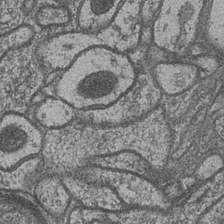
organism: Drosophila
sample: Optic medulla